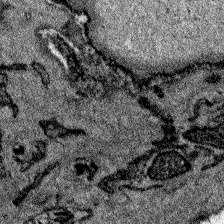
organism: Zebrafish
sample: Larval olfactory bulb